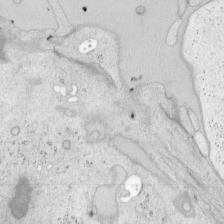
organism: Mouse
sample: OT-I killer T cells with ID8 ovarian cancer cells